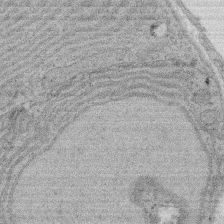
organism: Rat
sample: Salivary granule